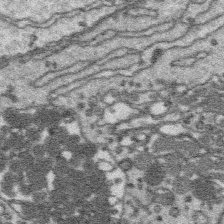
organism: Platynereis dumerilii